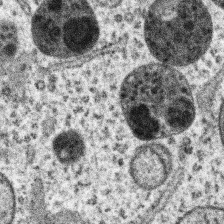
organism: Human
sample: HeLa cells